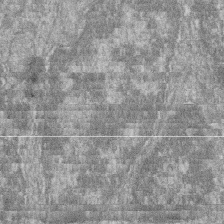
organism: Zebrafish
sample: Cilia; retinal pigment epithelium